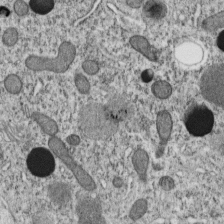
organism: C. elegans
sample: C. elegans embryo early stage